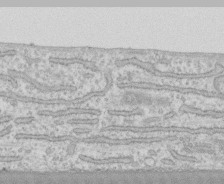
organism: Human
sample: CRL-1474